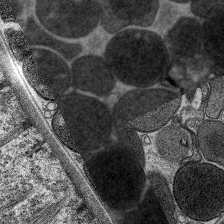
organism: C. elegans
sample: Pharynx